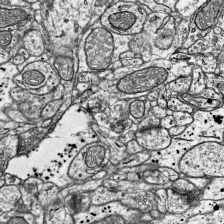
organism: Mouse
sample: Visual Cortex